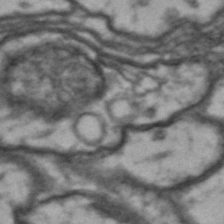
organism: Drosophila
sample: Brain